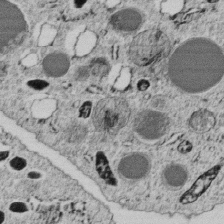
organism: C. elegans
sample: C. elegans embryo early stage